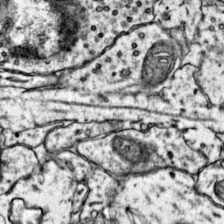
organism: Mouse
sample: Primary visual cortex